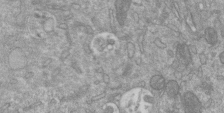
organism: Mouse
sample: ED-1 cell nuclei; centrioles